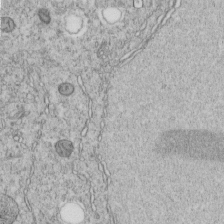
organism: C. elegans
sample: C. elegans embryo early stage